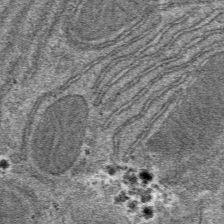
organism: Mouse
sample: Mouse hepatocytes